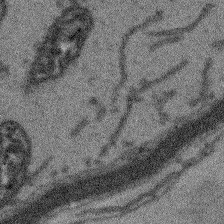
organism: Arabidopsis thaliana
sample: Root tip